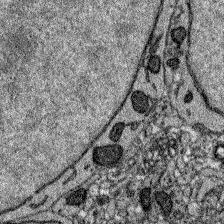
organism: Zebrafish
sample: Larval olfactory bulb